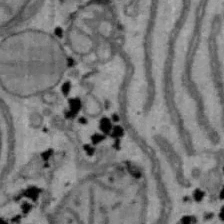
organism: Mouse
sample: Liver